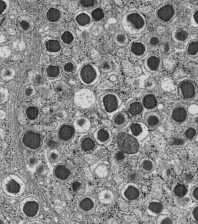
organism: C57BL Mouse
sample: Pancreatic islet